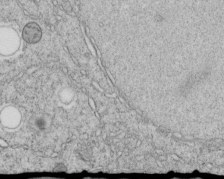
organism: C. elegans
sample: C. elegans embryo early stage